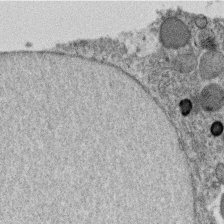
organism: C. elegans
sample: C. elegans oocyte; sperm cells